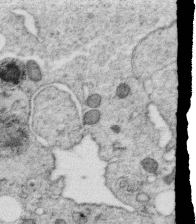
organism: C. elegans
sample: C. elegans oocyte; sperm cells